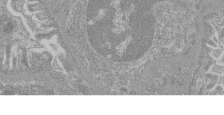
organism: Mouse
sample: Glomerulus